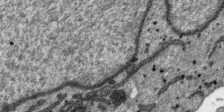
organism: Human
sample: Lung epithelial cells, uninfected (mock) control